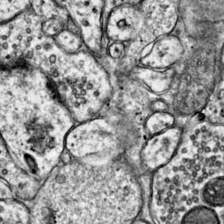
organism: Mouse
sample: Primary visual cortex